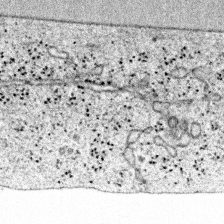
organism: Human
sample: HeLa cells